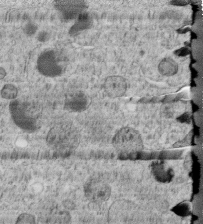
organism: C. elegans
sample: C. elegans embryo early stage